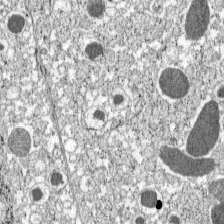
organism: C57BL Mouse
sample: Pancreatic islet